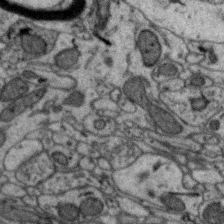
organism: Zebra finch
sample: Brain